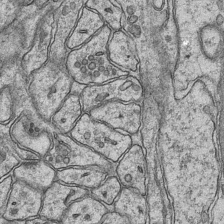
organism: Mouse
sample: CA1 Hippocampus